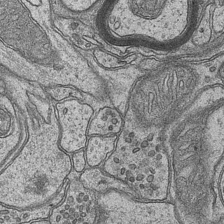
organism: Mouse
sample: CA1 Hippocampus